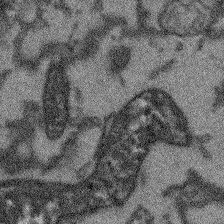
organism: Arabidopsis thaliana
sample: Root tip